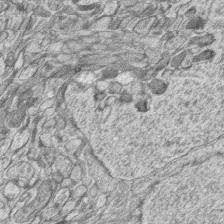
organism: Zebrafish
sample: synaptic ribbons in rod cells and cone cells